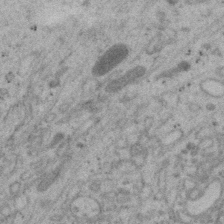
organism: Human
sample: HeLa cells